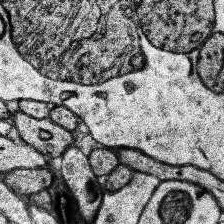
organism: Human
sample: Temporal Lobe